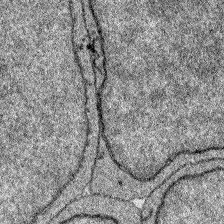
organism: Zebrafish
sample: Larval olfactory bulb